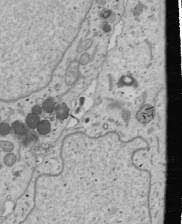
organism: Human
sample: Mitochondria in U2OS cells